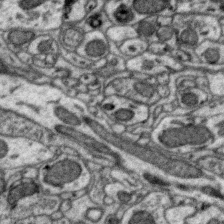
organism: Zebra finch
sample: Brain